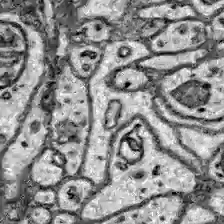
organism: Zebrafish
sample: Brain